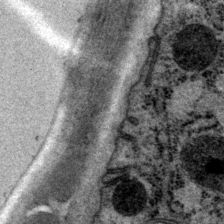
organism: P. pacificus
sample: Pharynx